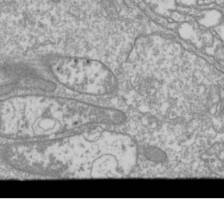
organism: Drosophila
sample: Cell division; meiosis; drosophila spermatocytes